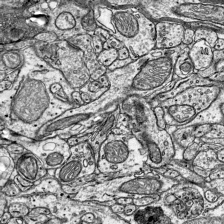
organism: Mouse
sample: Visual Cortex